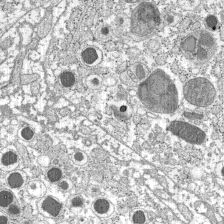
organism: C57BL Mouse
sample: Pancreatic islet